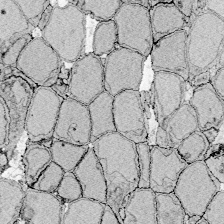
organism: Zebrafish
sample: Whole-Brain